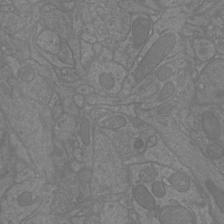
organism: Mouse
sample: Cortical neurons